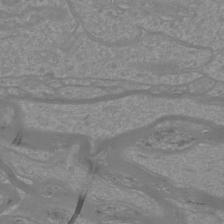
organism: Mouse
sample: Cortical neurons